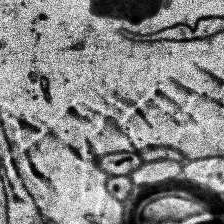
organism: Human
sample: Temporal Lobe